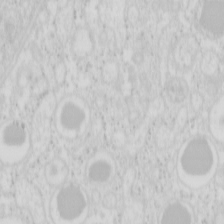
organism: Mouse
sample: Pancreas